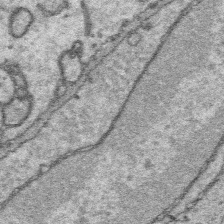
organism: Platynereis dumerilii